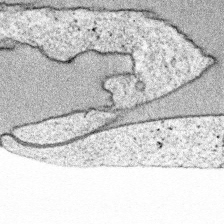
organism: Human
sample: HeLa cells